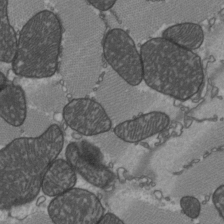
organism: C57BL Mouse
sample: Heart